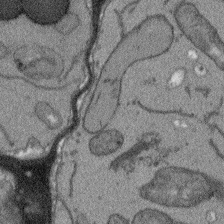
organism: Arabidopsis thaliana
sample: Root tip